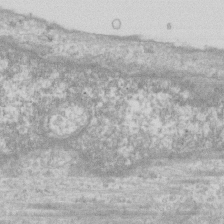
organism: Human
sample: Fibroblast cells